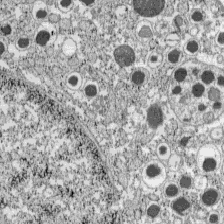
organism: C57BL Mouse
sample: Pancreatic islet